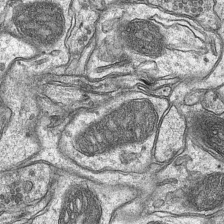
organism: Mouse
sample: CA1 Hippocampus